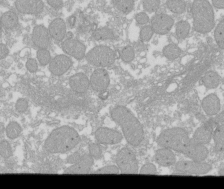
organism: Xenopus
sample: Cilia; centrioles in frog embryo cells